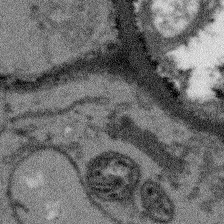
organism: Arabidopsis thaliana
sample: Root tip